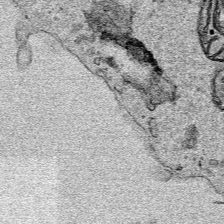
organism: Human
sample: Mitochondria in HCT116 cells